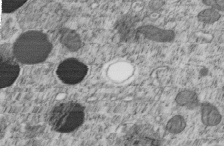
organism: C. elegans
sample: C. elegans embryo early stage